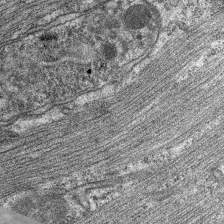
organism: C. elegans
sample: Pharynx